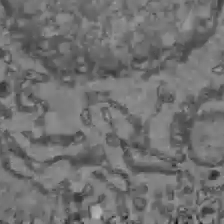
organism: C57BL Mouse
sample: Liver